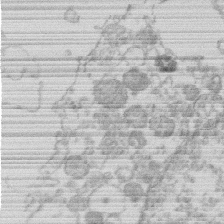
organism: Human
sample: Macrophage cells